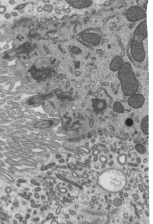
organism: Mouse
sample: Mouse epididymis efferent ductule cilia